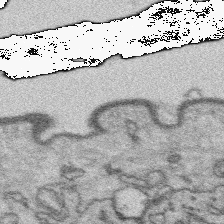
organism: Platynereis dumerilii